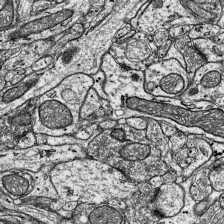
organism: Mouse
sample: Visual Cortex